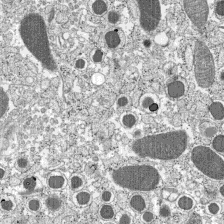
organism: C57BL Mouse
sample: Pancreatic islet